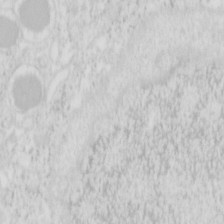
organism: Mouse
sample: Pancreas